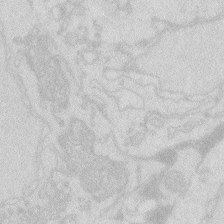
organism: Zebrafish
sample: Macrophage